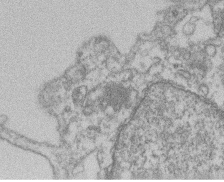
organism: Mouse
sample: T cell stromal cell synapse